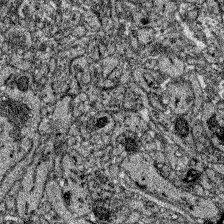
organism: Zebrafish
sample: Larval olfactory bulb